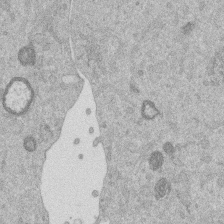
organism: Mouse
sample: Dividing mouse embryo 1 cell stage